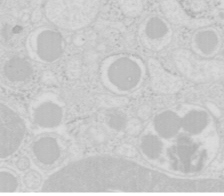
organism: Mouse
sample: Pancreas